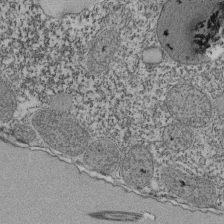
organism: Tetrahymena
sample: Cilia in tetrahymena